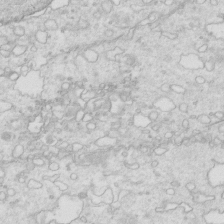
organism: Mouse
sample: Multiciliated cells